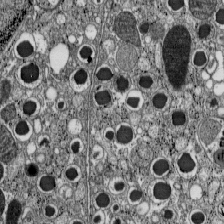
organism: C57BL Mouse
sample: Pancreatic islet